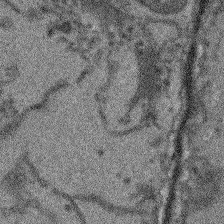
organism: Arabidopsis thaliana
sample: Root tip